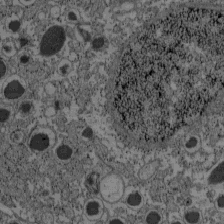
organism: C57BL Mouse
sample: Pancreatic islet